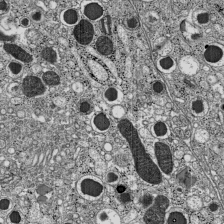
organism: C57BL Mouse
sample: Pancreatic islet